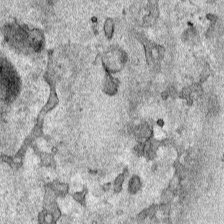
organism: Human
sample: Mitochondria in HCT116 cells